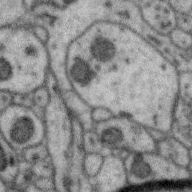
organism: Zebra finch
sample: Brain